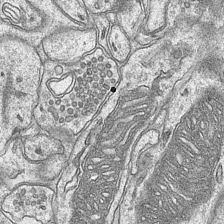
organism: Mouse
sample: CA1 Hippocampus